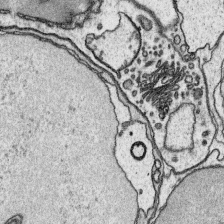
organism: Platynereis dumerilii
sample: Parapodia